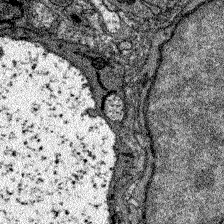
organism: Zebrafish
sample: Larval olfactory bulb